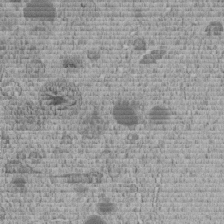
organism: C. elegans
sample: C. elegans embryo early stage